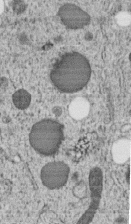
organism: C. elegans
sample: C. elegans embryo early stage